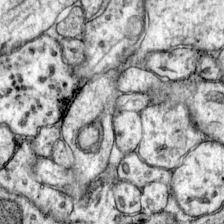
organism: Mouse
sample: Primary visual cortex